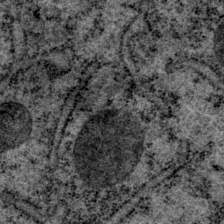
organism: P. pacificus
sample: Pharynx